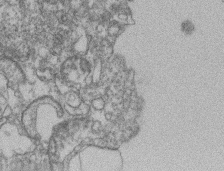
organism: Mouse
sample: T cell stromal cell synapse